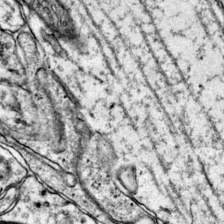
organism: Mouse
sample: Primary visual cortex